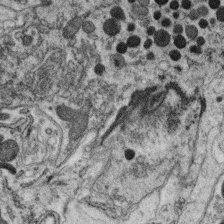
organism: C. elegans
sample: C. elegans oocyte; sperm cells